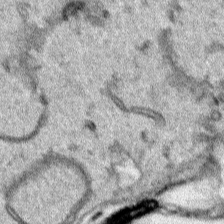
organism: Human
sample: Mitochondria in HCT116 cells